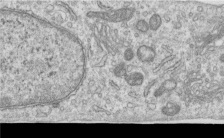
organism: Human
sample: Centriole in RPE cells